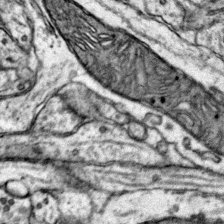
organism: Mouse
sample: Primary visual cortex